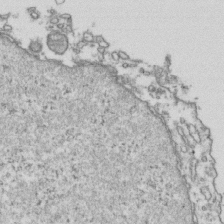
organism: Human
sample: Activated Jurkat CD4+ T cells